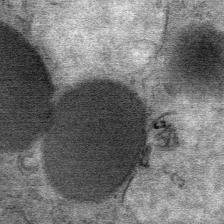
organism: Mouse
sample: Mouse Salivary gland